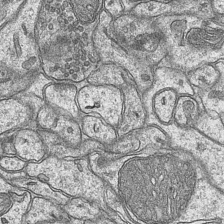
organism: Mouse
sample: CA1 Hippocampus